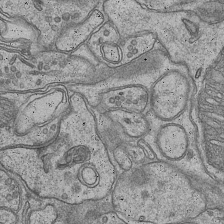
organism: Mouse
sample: CA1 Hippocampus